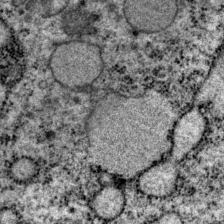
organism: P. pacificus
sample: Pharynx